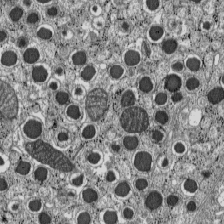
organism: C57BL Mouse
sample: Pancreatic islet